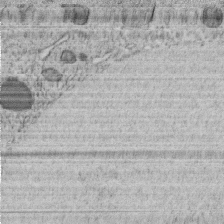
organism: C. elegans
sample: C. elegans embryo early stage